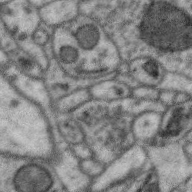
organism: Zebra finch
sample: Brain